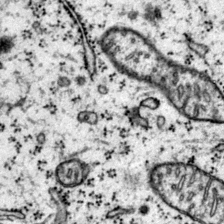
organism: Mouse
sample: Primary visual cortex